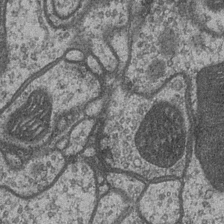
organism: Drosophila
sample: Optic medulla